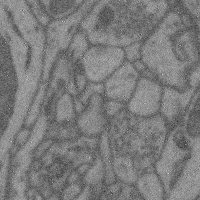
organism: Mouse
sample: Cerebral cortex